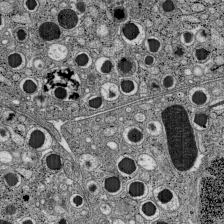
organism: C57BL Mouse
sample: Pancreatic islet